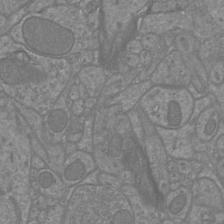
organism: Mouse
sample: Cortical neurons